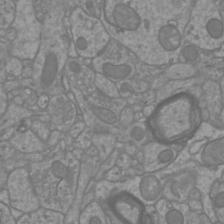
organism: Mouse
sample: Cortical neurons